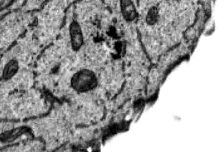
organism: Human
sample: HeLa cells